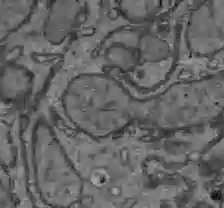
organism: C57BL Mouse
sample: Liver